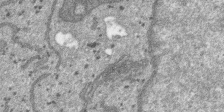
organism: Human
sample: Lung epithelial cells infected with SARS-CoV-2